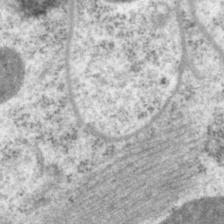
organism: P. pacificus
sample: Pharynx